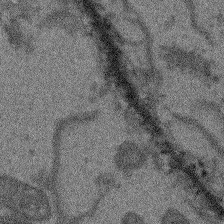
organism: Arabidopsis thaliana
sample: Root tip